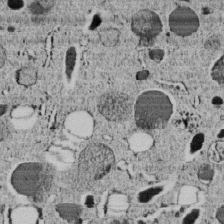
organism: C. elegans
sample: C. elegans embryo early stage